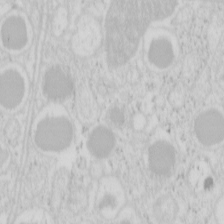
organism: Mouse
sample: Pancreas